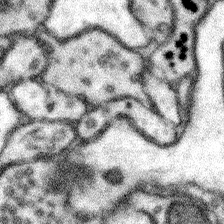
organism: Mouse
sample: Somatosensory cortex neuropil